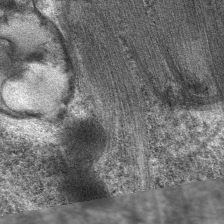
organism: C. elegans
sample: Pharynx